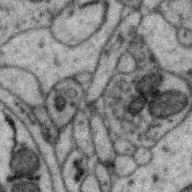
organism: Zebra finch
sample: Brain